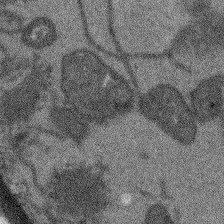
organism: Arabidopsis thaliana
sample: Root tip